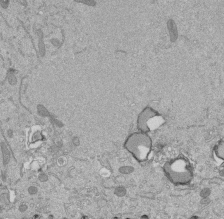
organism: Mouse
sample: ED-1 cell nuclei; centrioles